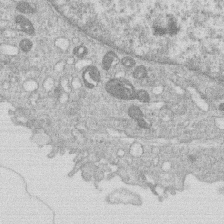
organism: Human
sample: Macrophage cells